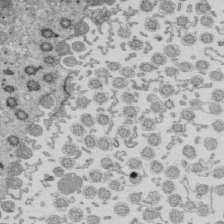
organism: Mouse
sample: Multiciliated cells